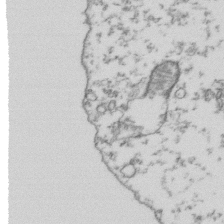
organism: Human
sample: Activated Jurkat CD4+ T cells